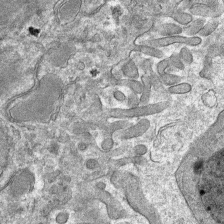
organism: Mouse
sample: Mouse hepatocytes